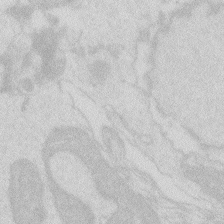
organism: Zebrafish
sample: Macrophage